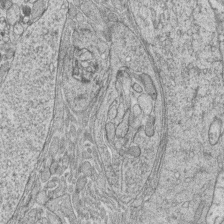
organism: Zebrafish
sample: synaptic ribbons in rod cells and cone cells